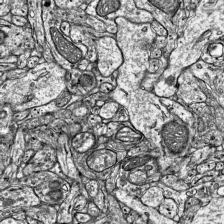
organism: Mouse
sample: Visual Cortex